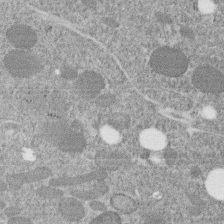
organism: C. elegans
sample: C. elegans embryo early stage